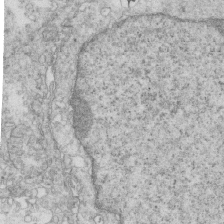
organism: Mouse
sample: Multiciliated cells